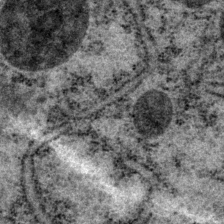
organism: P. pacificus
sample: Pharynx